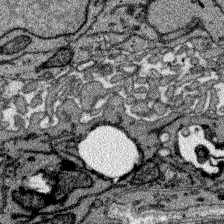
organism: Zebrafish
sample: Larval olfactory bulb